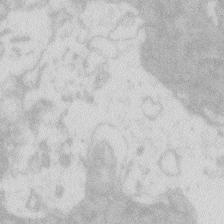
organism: Zebrafish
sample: Macrophage